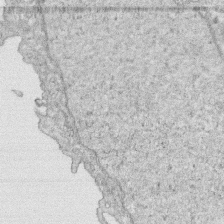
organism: Human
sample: HeLa cell HIV synapse